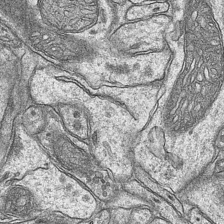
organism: Mouse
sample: CA1 Hippocampus